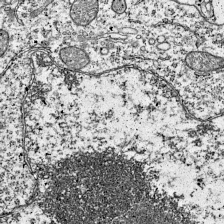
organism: Mouse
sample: Visual Cortex